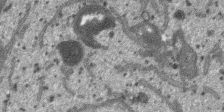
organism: Human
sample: Lung epithelial cells infected with SARS-CoV-2